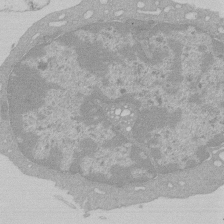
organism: Mouse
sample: Activated Pmel transgenic CD8+ T Cells